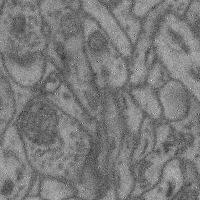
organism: Mouse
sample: Cerebral cortex